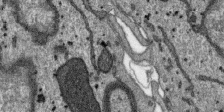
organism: Human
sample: Lung epithelial cells, uninfected (mock) control